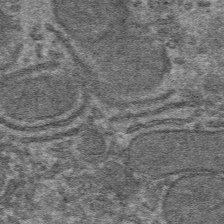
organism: Mouse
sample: Mouse hepatocytes